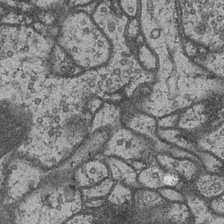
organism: Drosophila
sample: Optic medulla